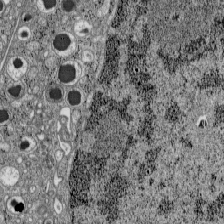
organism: C57BL Mouse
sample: Pancreatic islet